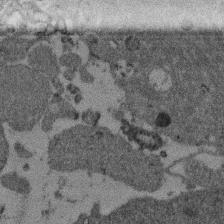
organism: Mouse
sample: Dividing mouse embryo 1 cell stage